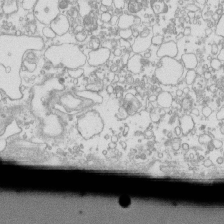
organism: Mouse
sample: Macrophages